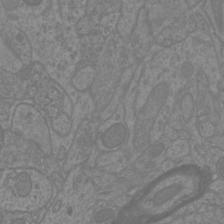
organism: Mouse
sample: Cortical neurons